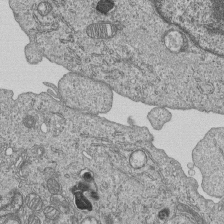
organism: Human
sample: MDA-MB-231 cells